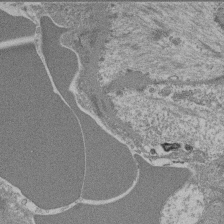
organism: Mouse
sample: Glomerulus